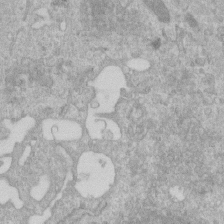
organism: Human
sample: Centriole in RPE cells